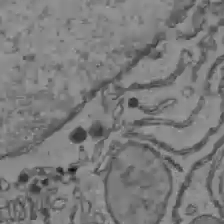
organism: C57BL Mouse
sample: Liver